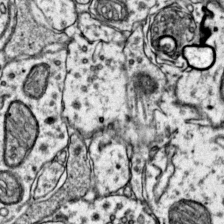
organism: Mouse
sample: Primary visual cortex